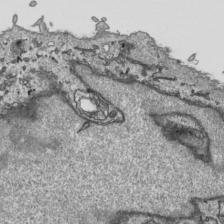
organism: Human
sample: Mitochondria in HCT116 cells